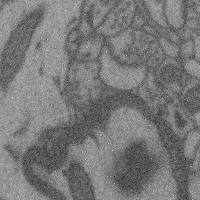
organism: Mouse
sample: Cerebral cortex